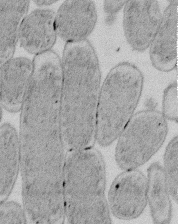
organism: E. coli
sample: Bacterial nucleoid